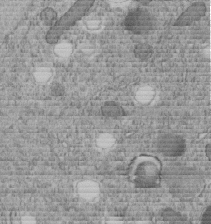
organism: C. elegans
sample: C. elegans embryo early stage